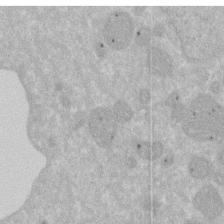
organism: Human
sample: HIV infected U937 cells